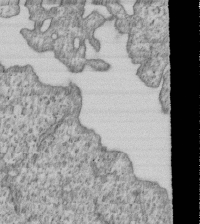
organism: Human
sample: MDA-MB-231 cells